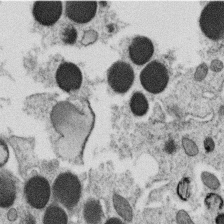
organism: C. elegans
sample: C. elegans oocyte; sperm cells